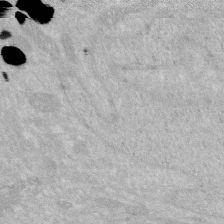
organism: Human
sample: HIV infected U937 cells